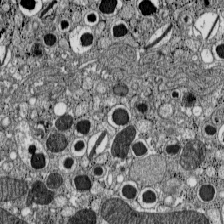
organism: C57BL Mouse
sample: Pancreatic islet